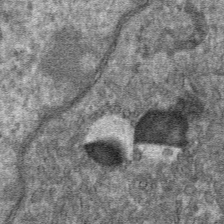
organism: Mouse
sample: Mouse hepatocytes